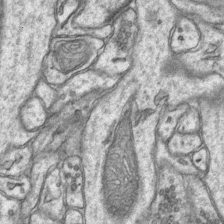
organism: Mouse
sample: CA1 Hippocampus